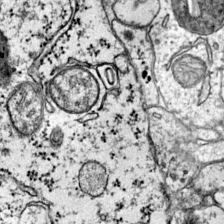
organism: Mouse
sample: Primary visual cortex